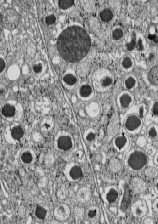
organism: C57BL Mouse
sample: Pancreatic islet